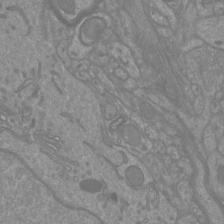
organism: Mouse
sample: Cortical neurons